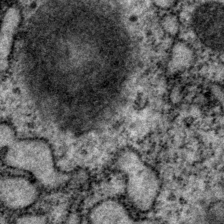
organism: P. pacificus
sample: Pharynx